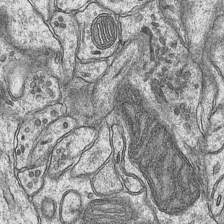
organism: Mouse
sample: CA1 Hippocampus